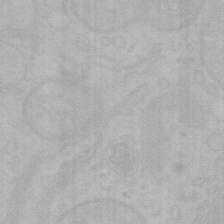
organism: Mouse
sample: Choroid plexus